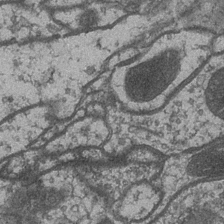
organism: Drosophila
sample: Optic medulla